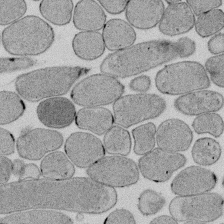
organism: E. coli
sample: Bacterial nucleoid